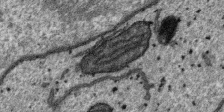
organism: Human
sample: Lung epithelial cells, uninfected (mock) control